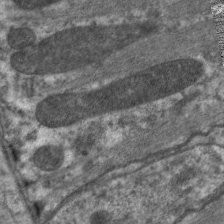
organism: C. elegans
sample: Pharynx